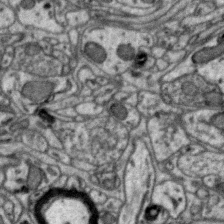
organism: Zebra finch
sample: Brain